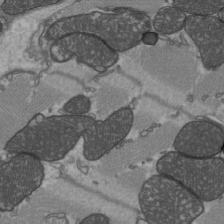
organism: C57BL Mouse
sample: Heart